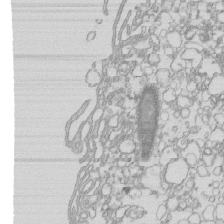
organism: Mouse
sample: Macrophages